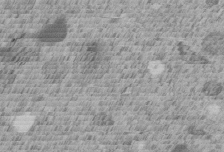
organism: C. elegans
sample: C. elegans embryo early stage